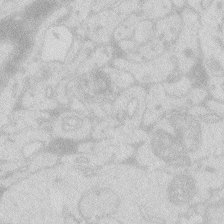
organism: Zebrafish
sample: Macrophage